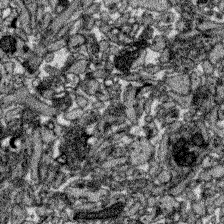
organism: Zebrafish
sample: Larval olfactory bulb